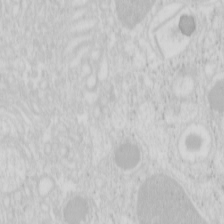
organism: Mouse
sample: Pancreas